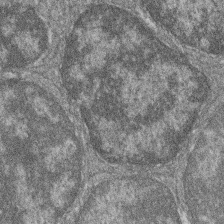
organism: Zebrafish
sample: Cilia; retinal pigment epithelium